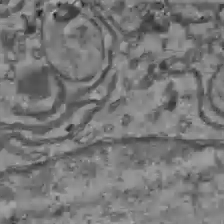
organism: C57BL Mouse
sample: Liver